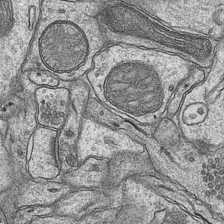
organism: Mouse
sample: CA1 Hippocampus